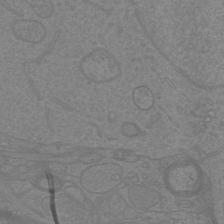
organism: Mouse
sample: Cortical neurons